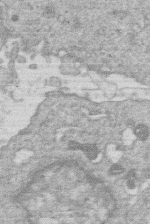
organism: Human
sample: Macrophage cells